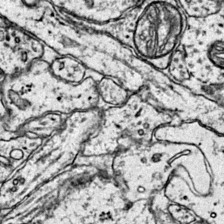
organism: Mouse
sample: Primary visual cortex